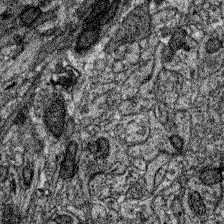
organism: Zebrafish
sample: Larval olfactory bulb